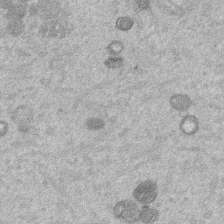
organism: Mouse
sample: Dividing mouse embryo 1 cell stage